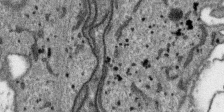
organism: Human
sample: Lung epithelial cells, uninfected (mock) control